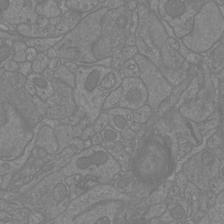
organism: Mouse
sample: Cortical neurons